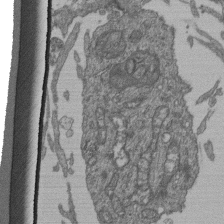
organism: Human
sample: Retinal organoid Rod and Cone cells